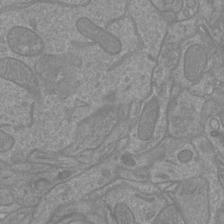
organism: Mouse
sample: Cortical neurons